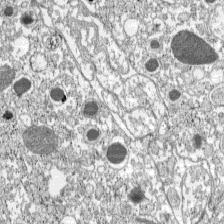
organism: C57BL Mouse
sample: Pancreatic islet